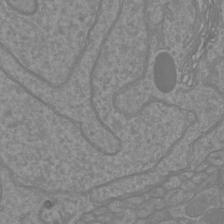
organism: Mouse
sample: Cortical neurons